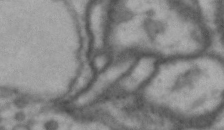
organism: Drosophila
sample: Brain